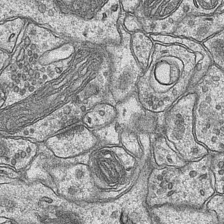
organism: Mouse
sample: CA1 Hippocampus